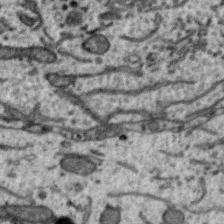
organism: Zebra finch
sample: Brain